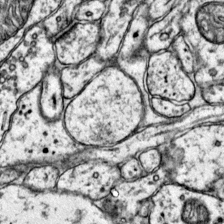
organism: Mouse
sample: Primary visual cortex